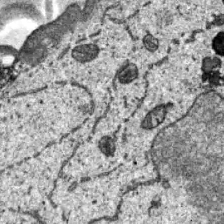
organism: Human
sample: HeLa cells